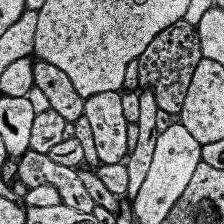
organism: Human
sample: Temporal Lobe